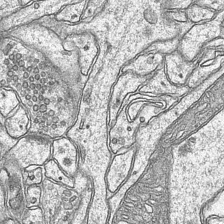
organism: Mouse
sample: CA1 Hippocampus